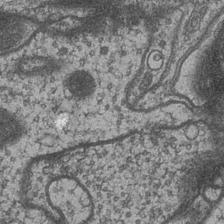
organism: Drosophila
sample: Optic medulla